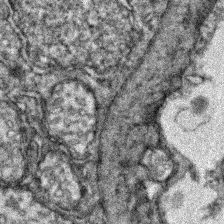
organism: Zebrafish